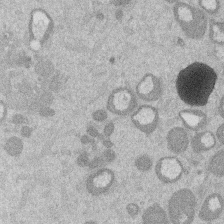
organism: Mouse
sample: Dividing mouse embryo 1 cell stage